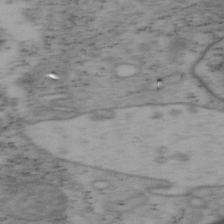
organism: Mouse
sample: OT-I killer T cells with ID8 ovarian cancer cells